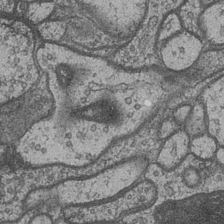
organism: Drosophila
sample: Optic medulla